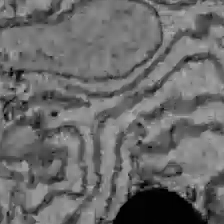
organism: C57BL Mouse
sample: Liver